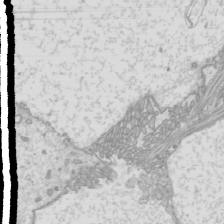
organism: Mouse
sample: Cilia; mouse epididymis